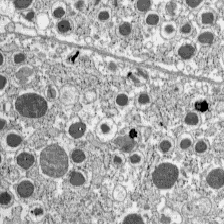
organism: C57BL Mouse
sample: Pancreatic islet